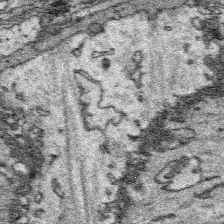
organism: Platynereis dumerilii